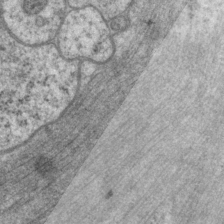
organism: P. pacificus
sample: Pharynx